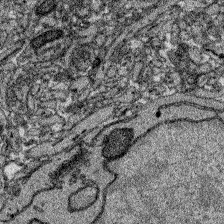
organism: Zebrafish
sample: Larval olfactory bulb